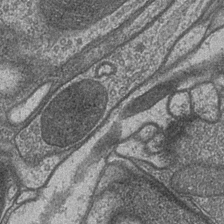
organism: Drosophila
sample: Optic medulla